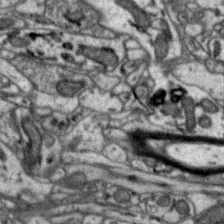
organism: Zebra finch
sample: Brain